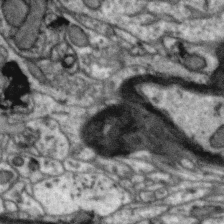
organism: Zebra finch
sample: Brain